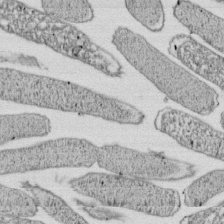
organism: E. coli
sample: Bacterial nucleoid